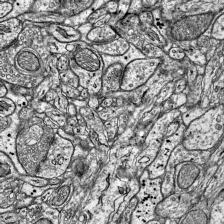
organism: Mouse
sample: Visual Cortex